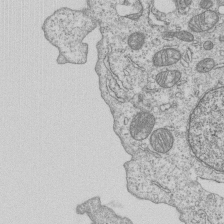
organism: Human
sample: MDA-MB-231 cells